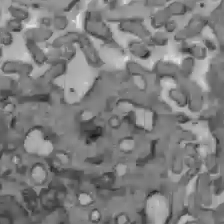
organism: C57BL Mouse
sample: Liver